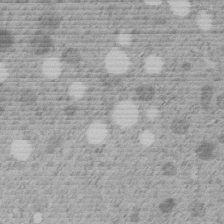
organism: C. elegans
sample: C. elegans embryo early stage